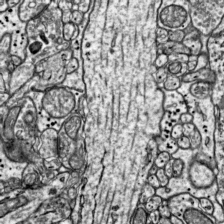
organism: Mouse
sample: Visual Cortex